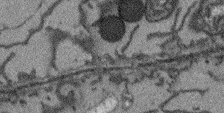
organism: Arabidopsis thaliana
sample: Root tip